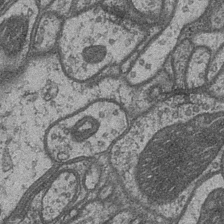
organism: Drosophila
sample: Optic medulla